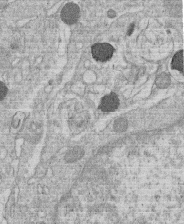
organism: Human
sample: Macrophage cells